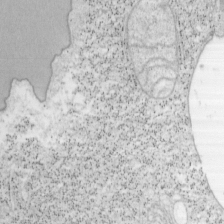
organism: Mouse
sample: OT-I killer T cells with ID8 ovarian cancer cells